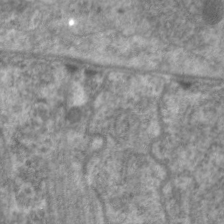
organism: C. elegans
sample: Pharynx